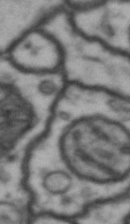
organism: Drosophila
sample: Brain